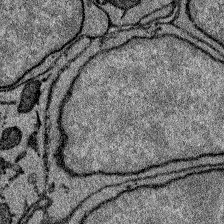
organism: Zebrafish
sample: Larval olfactory bulb